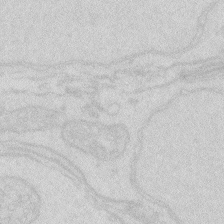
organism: Zebrafish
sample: Macrophage